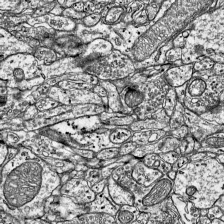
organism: Mouse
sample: Visual Cortex